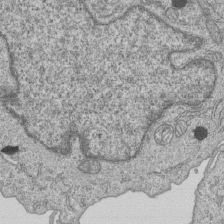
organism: Human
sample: MDA-MB-231 cells